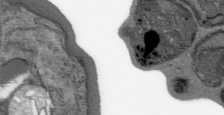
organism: Plasmodium falciparum